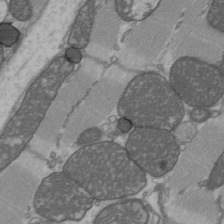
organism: C57BL Mouse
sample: Heart